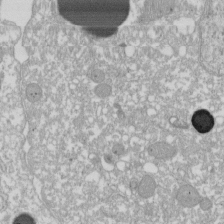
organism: Xenopus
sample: Cilia; centrioles in frog embryo cells